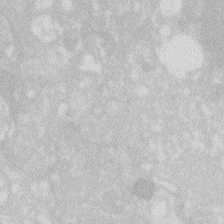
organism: Zebrafish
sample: Macrophage